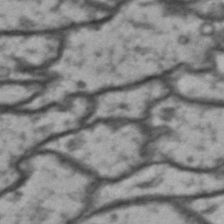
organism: Drosophila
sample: Brain